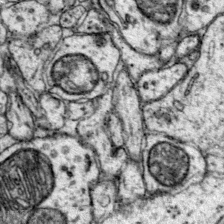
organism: Mouse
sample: Primary visual cortex